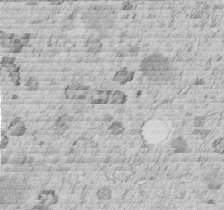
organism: C. elegans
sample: C. elegans embryo early stage